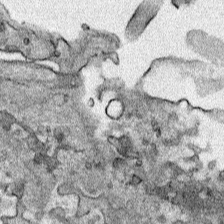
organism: Human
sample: Mitochondria in HCT116 cells